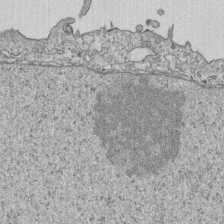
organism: Human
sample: HeLa cell HIV synapse